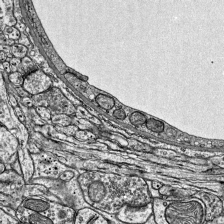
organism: Mouse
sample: Visual Cortex